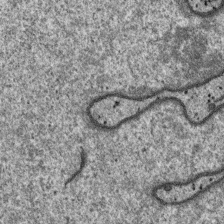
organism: Human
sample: Lung epithelial cells, uninfected (mock) control